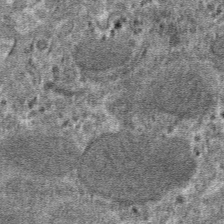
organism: Mouse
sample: Mouse hepatocytes